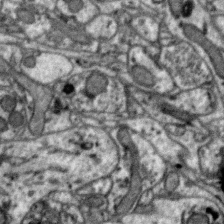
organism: Zebra finch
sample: Brain